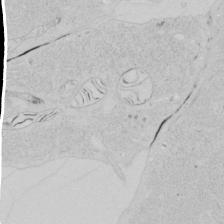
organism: Human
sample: Mitochondria in HCT116 cells